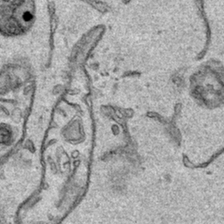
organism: Human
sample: Mitochondria in HCT116 cells